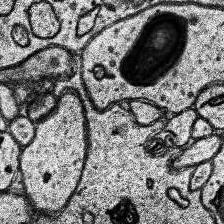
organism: Human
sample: Temporal Lobe